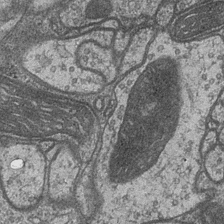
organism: Drosophila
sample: Optic medulla